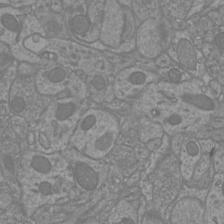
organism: Mouse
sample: Cortical neurons